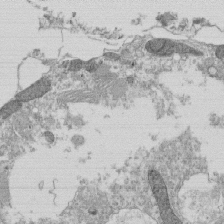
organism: Tetrahymena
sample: Cilia in tetrahymena